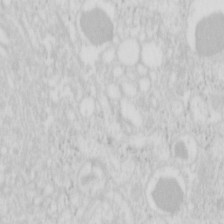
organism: Mouse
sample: Pancreas